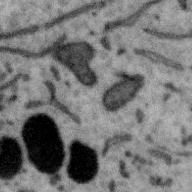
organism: Zebra finch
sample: Brain